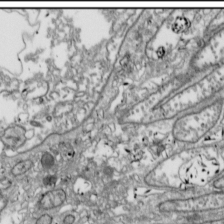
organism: Drosophila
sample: Cell division; meiosis; drosophila spermatocytes